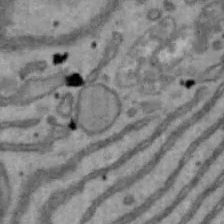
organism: Mouse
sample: Liver